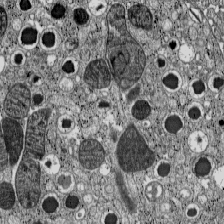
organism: C57BL Mouse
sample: Pancreatic islet